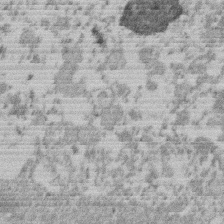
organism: Mouse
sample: Dividing mouse embryo 1 cell stage